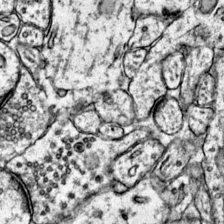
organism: Mouse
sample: Primary visual cortex